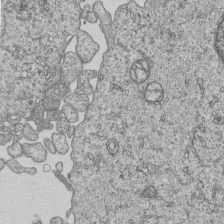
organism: Human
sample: MDA-MB-231 cells